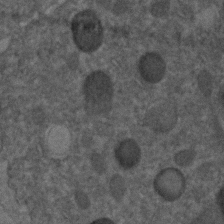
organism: C. elegans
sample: C. elegans embryo